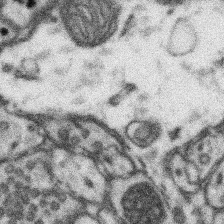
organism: Mouse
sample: Somatosensory cortex neuropil